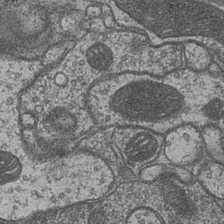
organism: Drosophila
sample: Optic medulla